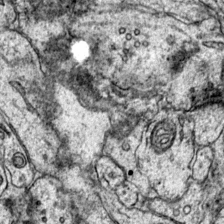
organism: Mouse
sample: Primary visual cortex